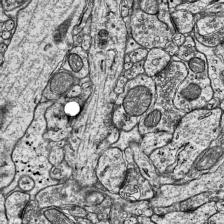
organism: Mouse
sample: Visual Cortex